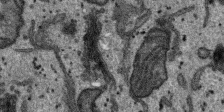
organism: Human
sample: Lung epithelial cells, uninfected (mock) control